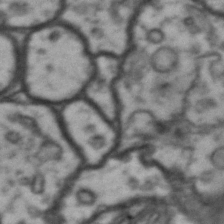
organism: Drosophila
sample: Brain